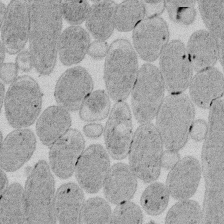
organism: E. coli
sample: Bacterial nucleoid